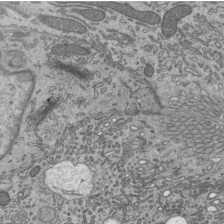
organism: Mouse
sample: Mouse epididymis efferent ductule cilia